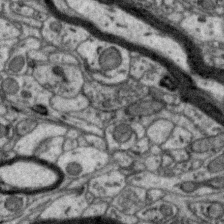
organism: Zebra finch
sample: Brain